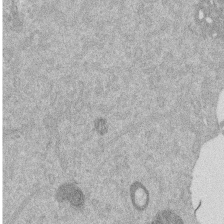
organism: Mouse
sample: Dividing mouse embryo 1 cell stage